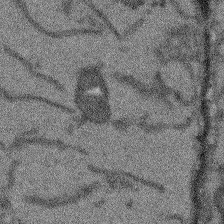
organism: Arabidopsis thaliana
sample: Root tip